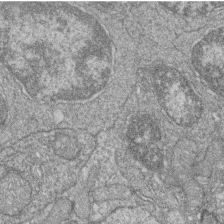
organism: Zebrafish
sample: Cilia; retinal pigment epithelium